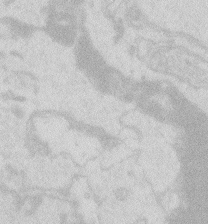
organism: Zebrafish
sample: Macrophage